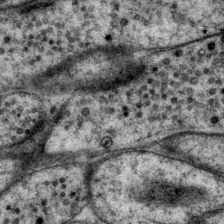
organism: P. pacificus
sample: Pharynx